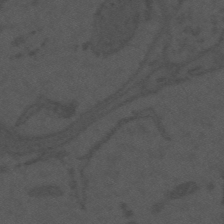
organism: Mouse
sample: Suprachiasmatic nucleus